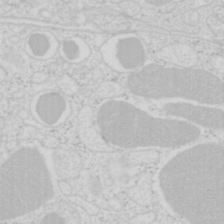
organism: Mouse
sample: Pancreas